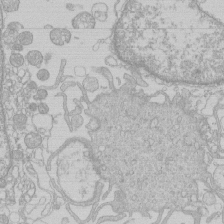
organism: Human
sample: Macrophage cells